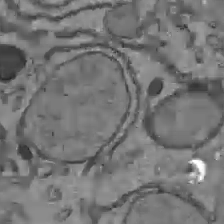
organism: C57BL Mouse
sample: Liver